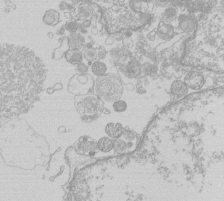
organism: Human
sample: Macrophage cells